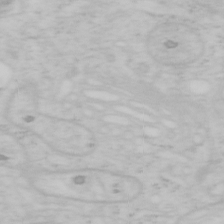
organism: Mouse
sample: OT-I killer T cells with ID8 ovarian cancer cells